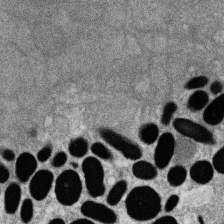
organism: Zebrafish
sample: Cilia; retinal pigment epithelium